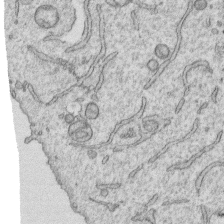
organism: Human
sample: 1205lu cells